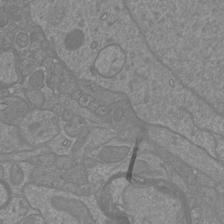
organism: Mouse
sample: Cortical neurons